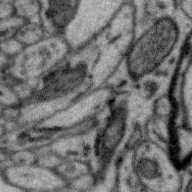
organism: Zebra finch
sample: Brain